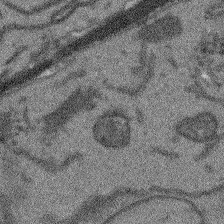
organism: Arabidopsis thaliana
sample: Root tip